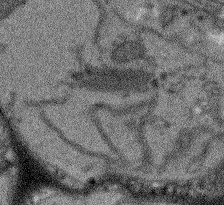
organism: Arabidopsis thaliana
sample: Root tip